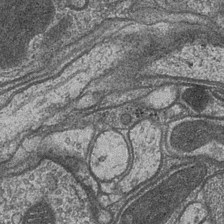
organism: Drosophila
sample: Optic medulla